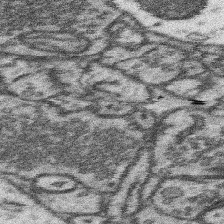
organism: Mouse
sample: Somatosensory cortex neuropil